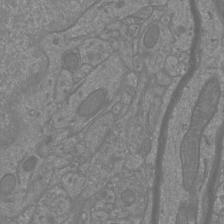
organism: Mouse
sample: Cortical neurons